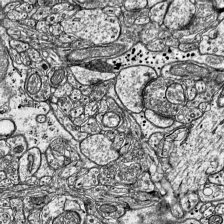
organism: Mouse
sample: Visual Cortex